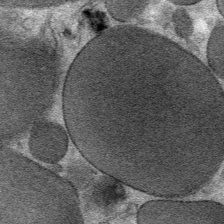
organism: Mouse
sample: Mouse Salivary gland